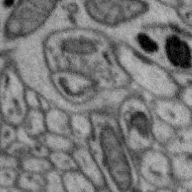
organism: Zebra finch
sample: Brain